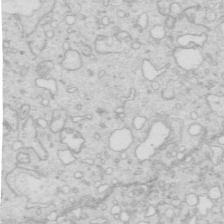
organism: Mouse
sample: Multiciliated cells